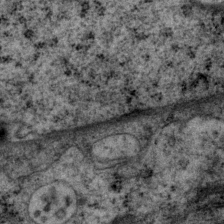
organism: P. pacificus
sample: Pharynx